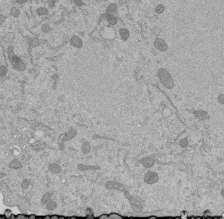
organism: Mouse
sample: ED-1 cell nuclei; centrioles